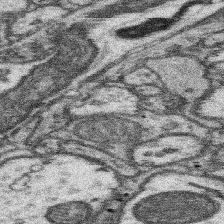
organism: Mouse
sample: Somatosensory cortex neuropil